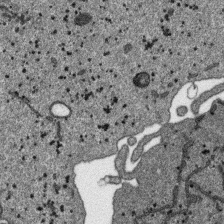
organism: Human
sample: Lung epithelial cells infected with SARS-CoV-2